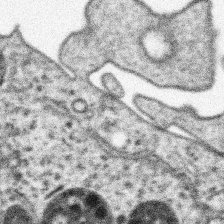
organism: Human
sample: HeLa cells